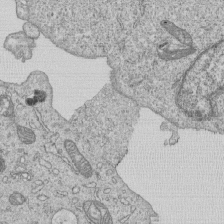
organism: Human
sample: MDA-MB-231 cells